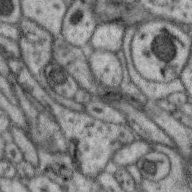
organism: Zebra finch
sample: Brain